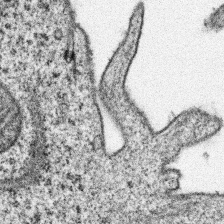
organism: Human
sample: HeLa cells